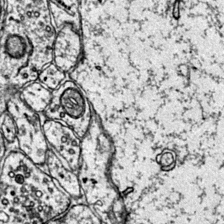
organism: Mouse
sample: Primary visual cortex